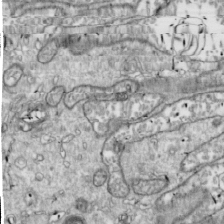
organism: Drosophila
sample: Cell division; meiosis; drosophila spermatocytes